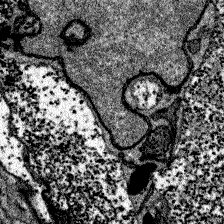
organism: Zebrafish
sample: Larval olfactory bulb